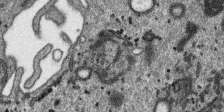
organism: Human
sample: Lung epithelial cells infected with SARS-CoV-2